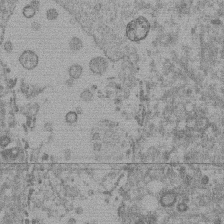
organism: Mouse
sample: Dividing mouse embryo 1 cell stage